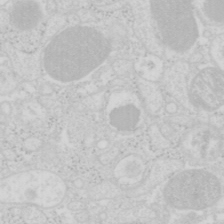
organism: Mouse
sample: Pancreas